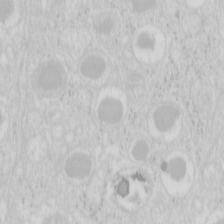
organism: Mouse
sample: Pancreas